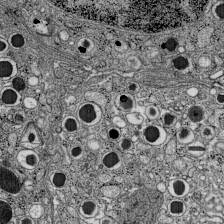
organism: C57BL Mouse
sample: Pancreatic islet